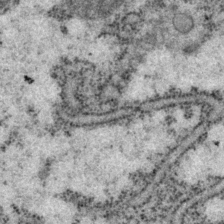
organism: P. pacificus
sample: Pharynx